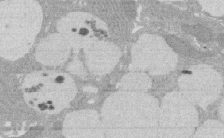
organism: Rat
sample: Salivary granule